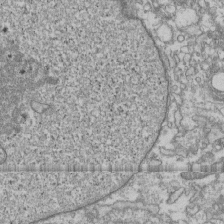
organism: Human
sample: Fibroblast cells